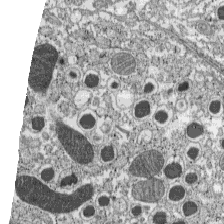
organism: C57BL Mouse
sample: Pancreatic islet